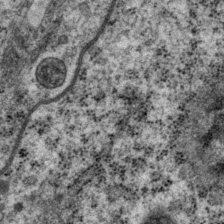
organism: P. pacificus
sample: Pharynx